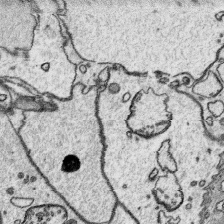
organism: Platynereis dumerilii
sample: Parapodia